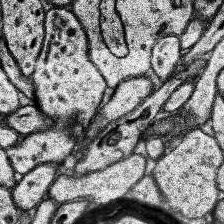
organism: Human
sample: Temporal Lobe